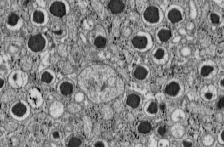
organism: C57BL Mouse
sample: Pancreatic islet